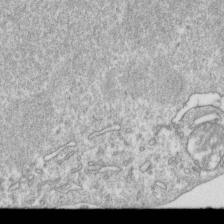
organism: Mouse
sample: Activated OT-1 CD8+ T cells